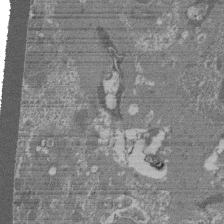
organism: Mouse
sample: Glomerulus